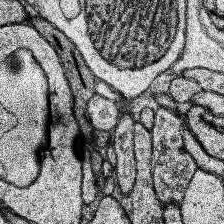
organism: Human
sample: Temporal Lobe